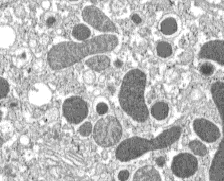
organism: C57BL Mouse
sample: Pancreatic islet